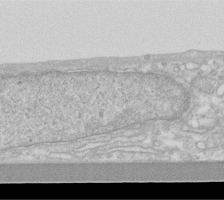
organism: Human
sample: Fibroblast cells